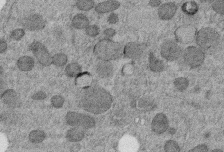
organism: C. elegans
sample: C. elegans embryo early stage